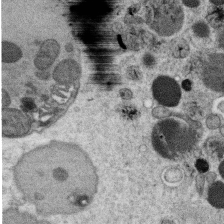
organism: C. elegans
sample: C. elegans oocyte; sperm cells